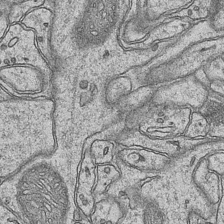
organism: Mouse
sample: CA1 Hippocampus